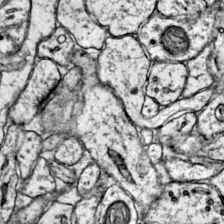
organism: Mouse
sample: Primary visual cortex